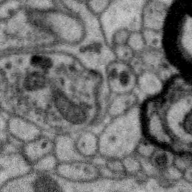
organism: Zebra finch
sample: Brain